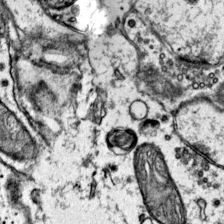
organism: Mouse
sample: Primary visual cortex